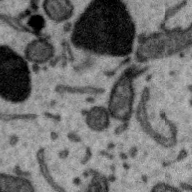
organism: Zebra finch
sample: Brain